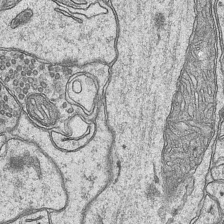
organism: Mouse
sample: CA1 Hippocampus